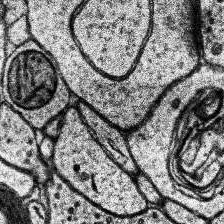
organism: Human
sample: Temporal Lobe